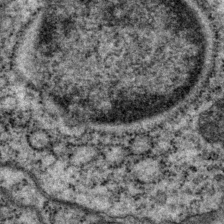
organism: P. pacificus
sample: Pharynx